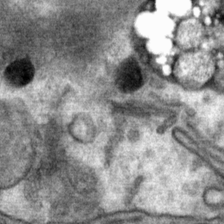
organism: Mouse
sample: Mouse Salivary gland